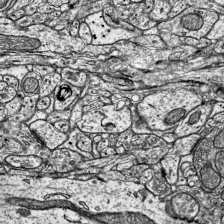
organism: Mouse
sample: Visual Cortex